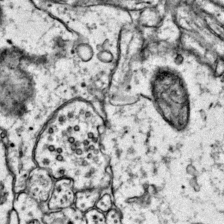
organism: Mouse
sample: Primary visual cortex